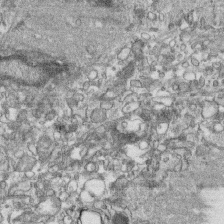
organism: Human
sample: CRL-1474